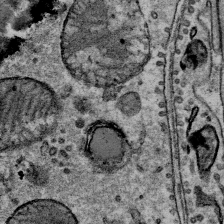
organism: Mouse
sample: Mouse Salivary gland